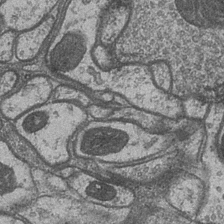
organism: Drosophila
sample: Optic medulla